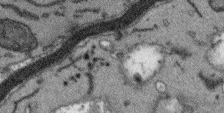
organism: Arabidopsis thaliana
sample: Root tip